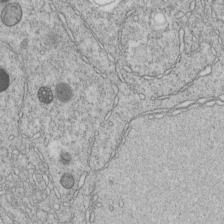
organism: C. elegans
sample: C. elegans embryo early stage